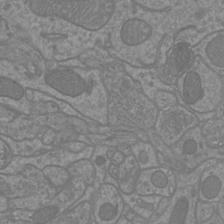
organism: Mouse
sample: Cortical neurons